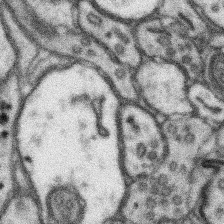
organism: Mouse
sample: Somatosensory cortex neuropil